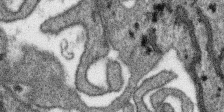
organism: Human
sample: Lung epithelial cells infected with SARS-CoV-2